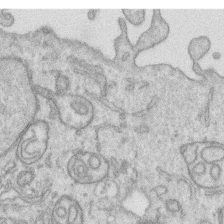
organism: Human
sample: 1205lu cells